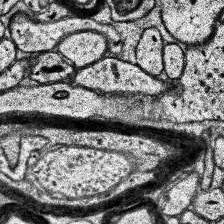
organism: Human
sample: Temporal Lobe